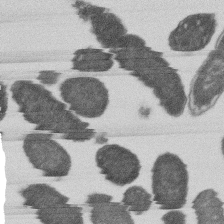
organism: E. coli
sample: Bacterial nucleoid